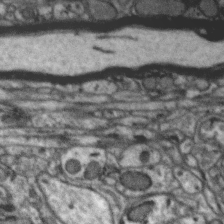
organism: Zebra finch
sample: Brain